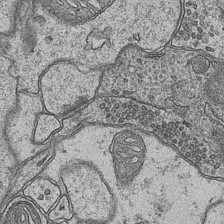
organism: Mouse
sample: CA1 Hippocampus